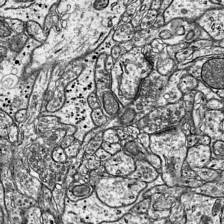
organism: Mouse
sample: Visual Cortex